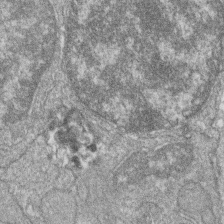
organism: Zebrafish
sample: Cilia; retinal pigment epithelium